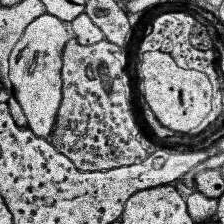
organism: Human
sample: Temporal Lobe